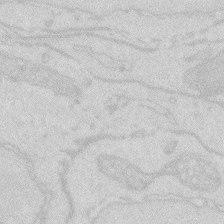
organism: Zebrafish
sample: Macrophage